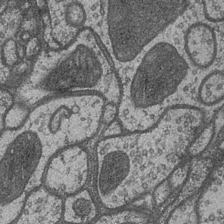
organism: Drosophila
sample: Optic medulla